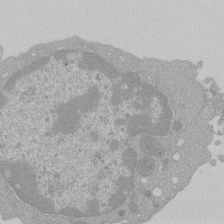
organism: Mouse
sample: Activated Pmel transgenic CD8+ T Cells